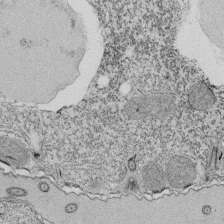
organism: Tetrahymena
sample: Cilia in tetrahymena